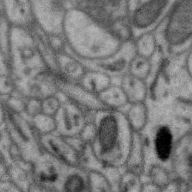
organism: Zebra finch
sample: Brain